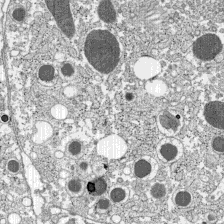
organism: C57BL Mouse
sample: Pancreatic islet